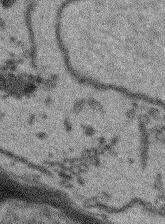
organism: Arabidopsis thaliana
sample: Root tip